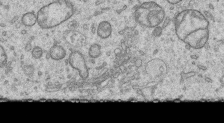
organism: Human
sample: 1205lu cells